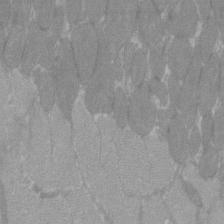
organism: C57BL Mouse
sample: Tibialis anterior muscle cell